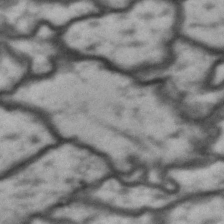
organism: Drosophila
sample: Brain